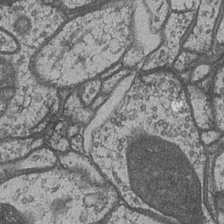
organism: Drosophila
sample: Optic medulla